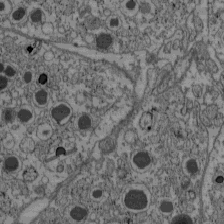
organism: C57BL Mouse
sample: Pancreatic islet